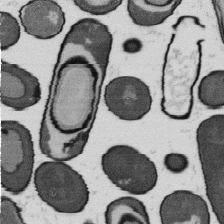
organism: B. subtilis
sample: Bacterial spore